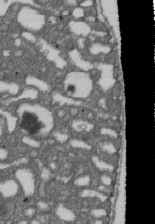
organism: Drosophila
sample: Nephrocyte